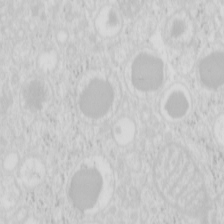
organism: Mouse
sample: Pancreas